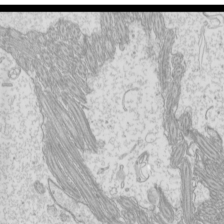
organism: Mouse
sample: Cilia; mouse epididymis